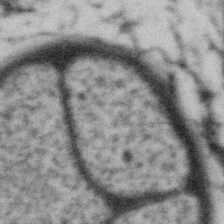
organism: Gemmata obscuriglobus